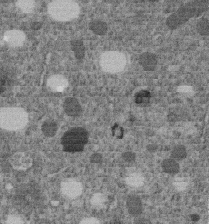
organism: C. elegans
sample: C. elegans embryo early stage